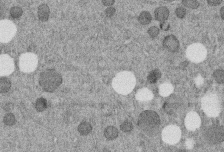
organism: C. elegans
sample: C. elegans embryo early stage